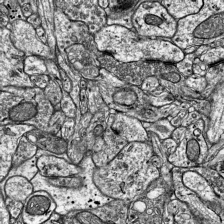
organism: Mouse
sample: Visual Cortex